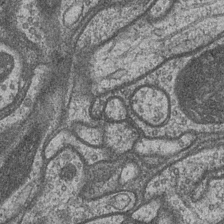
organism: Drosophila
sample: Optic medulla